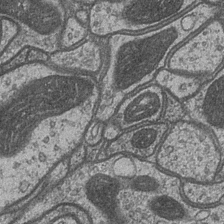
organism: Drosophila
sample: Optic medulla